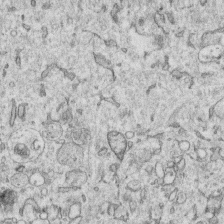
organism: Human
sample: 1205lu cells